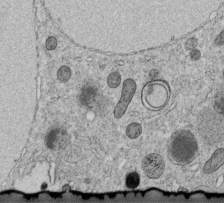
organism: C. elegans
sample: C. elegans embryo early stage